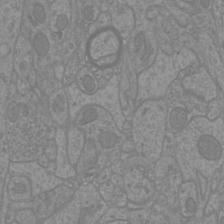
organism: Mouse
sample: Cortical neurons